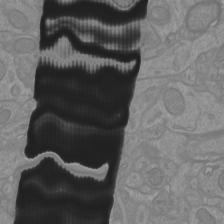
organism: Mouse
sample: Cortical neurons